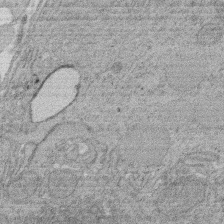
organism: Rat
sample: Salivary granule